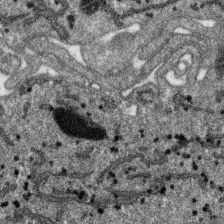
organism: Human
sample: Lung epithelial cells infected with SARS-CoV-2